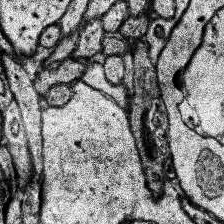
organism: Human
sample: Temporal Lobe